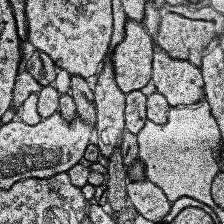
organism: Human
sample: Temporal Lobe